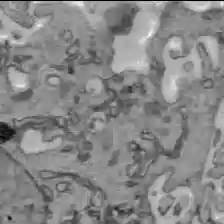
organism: C57BL Mouse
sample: Liver